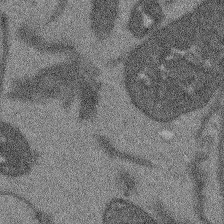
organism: Arabidopsis thaliana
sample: Root tip